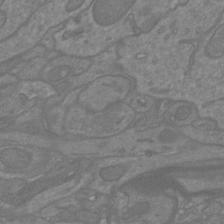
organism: Mouse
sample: Cortical neurons